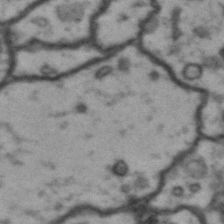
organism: Drosophila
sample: Brain